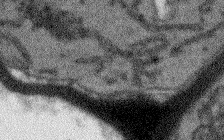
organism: Arabidopsis thaliana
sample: Root tip